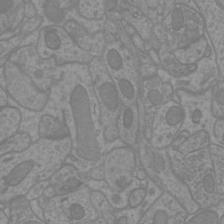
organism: Mouse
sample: Cortical neurons